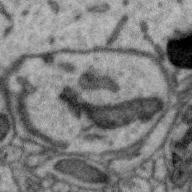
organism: Zebra finch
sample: Brain